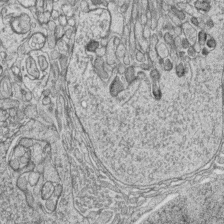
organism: Zebrafish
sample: synaptic ribbons in rod cells and cone cells